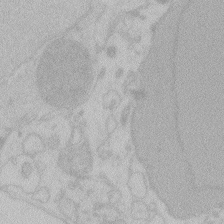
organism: Zebrafish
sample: Macrophage infected with Toxoplasma gondii